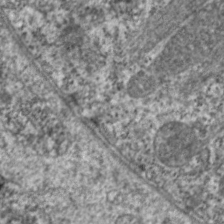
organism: C. elegans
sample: Pharynx